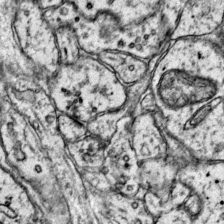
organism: Mouse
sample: Primary visual cortex